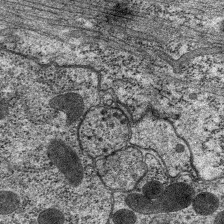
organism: C. elegans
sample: Pharynx